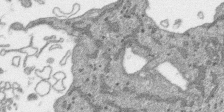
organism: Human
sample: Lung epithelial cells infected with SARS-CoV-2